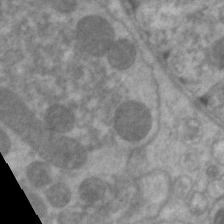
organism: C. elegans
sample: Pharynx